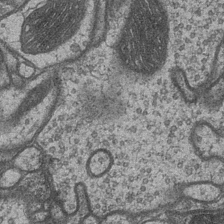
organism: Drosophila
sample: Optic medulla